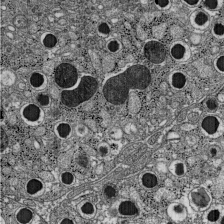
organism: C57BL Mouse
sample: Pancreatic islet